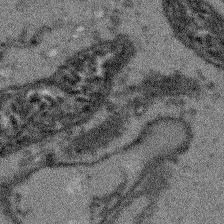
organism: Arabidopsis thaliana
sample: Root tip